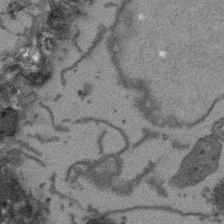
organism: Arabidopsis thaliana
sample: Root tip